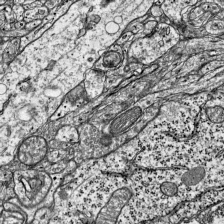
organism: Mouse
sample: Visual Cortex